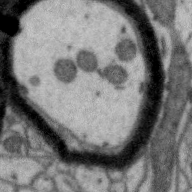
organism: Zebra finch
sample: Brain